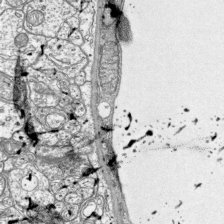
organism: Mouse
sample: Visual Cortex